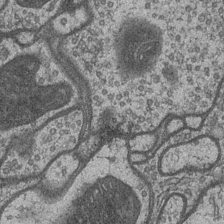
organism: Drosophila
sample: Optic medulla